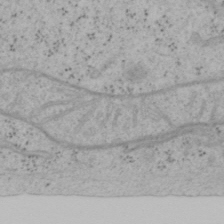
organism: Human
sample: HeLa cells